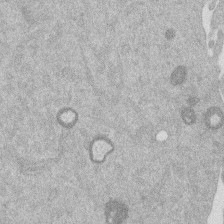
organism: Mouse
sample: Dividing mouse embryo 1 cell stage